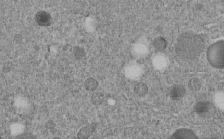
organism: C. elegans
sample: C. elegans embryo early stage